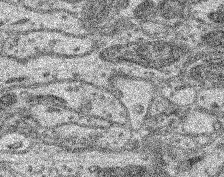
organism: Mouse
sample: Retina